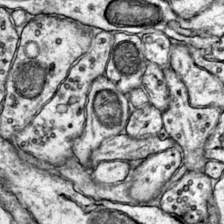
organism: Mouse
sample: Primary visual cortex